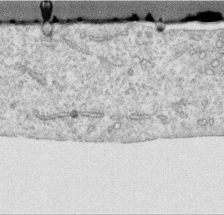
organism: Human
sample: Centriole in RPE cells